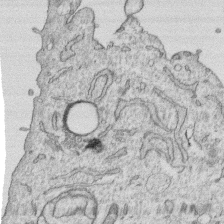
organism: Human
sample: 1205lu cells